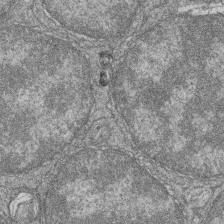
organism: Zebrafish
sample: Cilia; retinal pigment epithelium